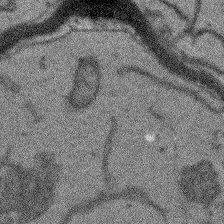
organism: Arabidopsis thaliana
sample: Root tip